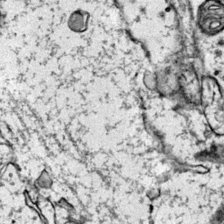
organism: Mouse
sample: Primary visual cortex